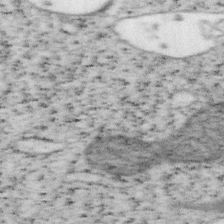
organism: Mouse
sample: OT-I killer T cells with ID8 ovarian cancer cells